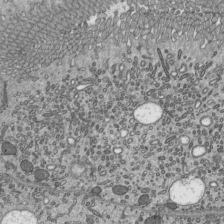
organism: Mouse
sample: Mouse epididymis efferent ductule cilia